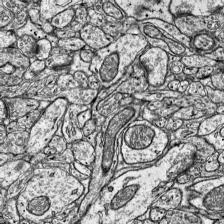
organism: Mouse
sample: Visual Cortex